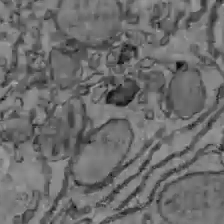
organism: C57BL Mouse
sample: Liver